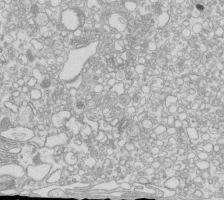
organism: Mouse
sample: Macrophages